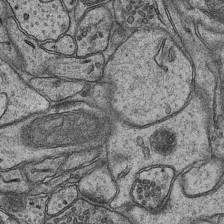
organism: Mouse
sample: CA1 Hippocampus